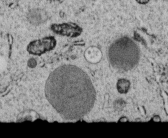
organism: C. elegans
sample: C. elegans embryo early stage